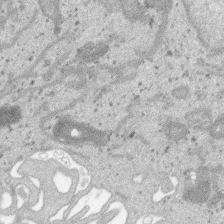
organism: Human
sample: Lung epithelial cells infected with SARS-CoV-2